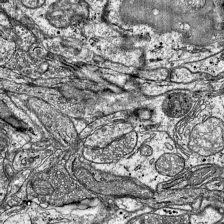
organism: Mouse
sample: Visual Cortex